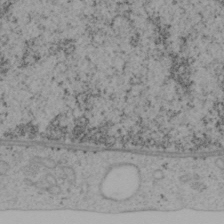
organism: Human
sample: HeLa cells